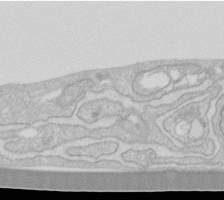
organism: Human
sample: Fibroblast cells